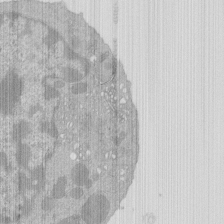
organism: Mouse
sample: Activated Pmel transgenic CD8+ T Cells